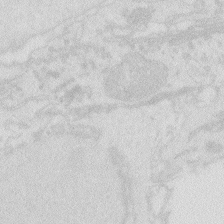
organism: Zebrafish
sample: Macrophage